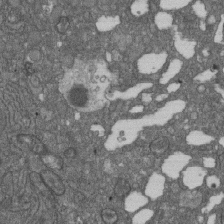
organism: Drosophila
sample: Nephrocyte